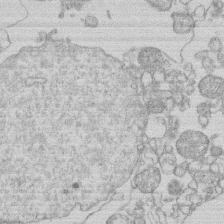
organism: Human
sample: Macrophage cells